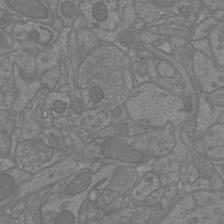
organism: Mouse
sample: Cortical neurons